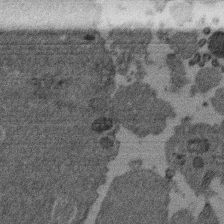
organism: Mouse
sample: Dividing mouse embryo 1 cell stage